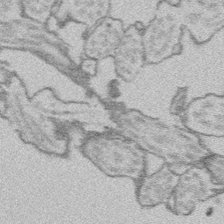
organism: Platynereis dumerilii